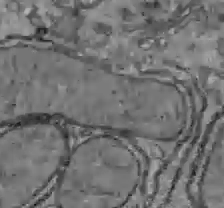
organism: C57BL Mouse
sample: Liver